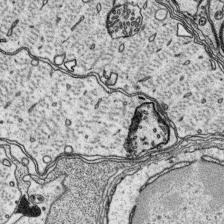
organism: Platynereis dumerilii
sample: Parapodia